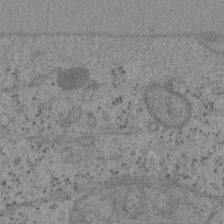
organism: Human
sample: HeLa cells